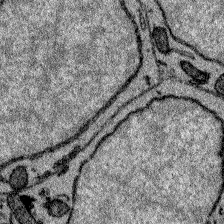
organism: Zebrafish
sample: Larval olfactory bulb